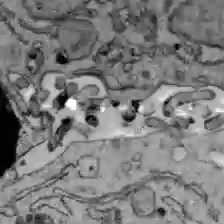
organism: C57BL Mouse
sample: Liver